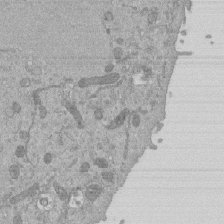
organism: Mouse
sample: ED-1 cell nuclei; centrioles